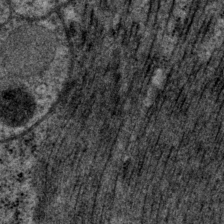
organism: P. pacificus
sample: Pharynx